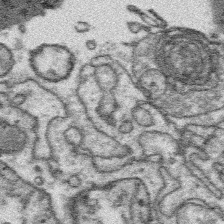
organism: Platynereis dumerilii